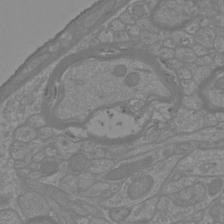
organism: Mouse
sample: Cortical neurons